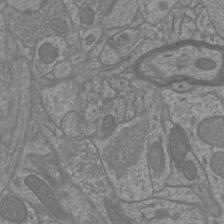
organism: Mouse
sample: Cortical neurons